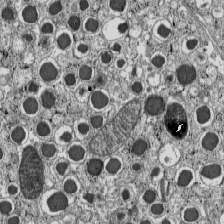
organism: C57BL Mouse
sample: Pancreatic islet